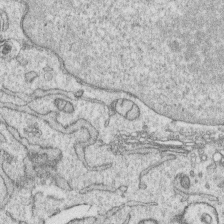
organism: Human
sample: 1205lu cells